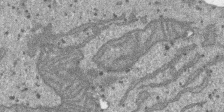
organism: Human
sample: Lung epithelial cells infected with SARS-CoV-2